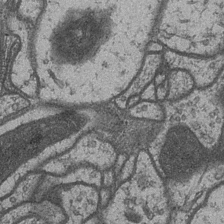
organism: Drosophila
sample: Optic medulla